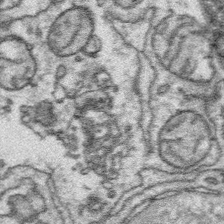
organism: Platynereis dumerilii